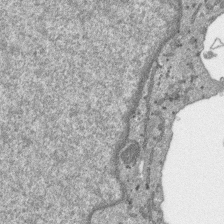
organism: Human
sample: Lung epithelial cells infected with SARS-CoV-2